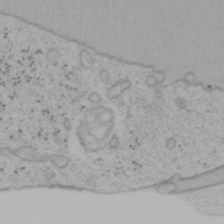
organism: Human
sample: HeLa cells